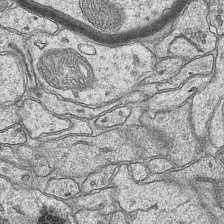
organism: Mouse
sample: CA1 Hippocampus